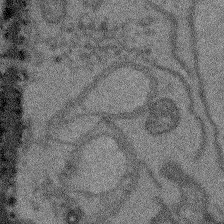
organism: Arabidopsis thaliana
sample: Root tip